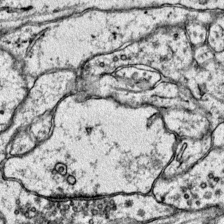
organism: Mouse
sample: Primary visual cortex